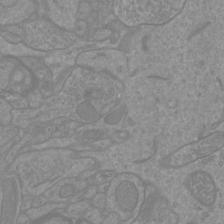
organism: Mouse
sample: Cortical neurons